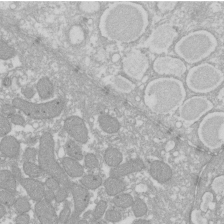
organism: Xenopus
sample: Cilia; centrioles in frog embryo cells